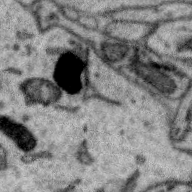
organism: Zebra finch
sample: Brain